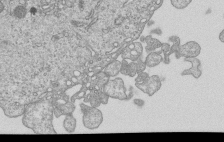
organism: Human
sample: MDA-MB-231 cells